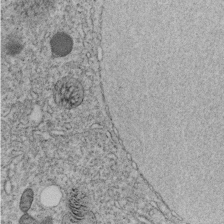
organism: C. elegans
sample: C. elegans embryo early stage